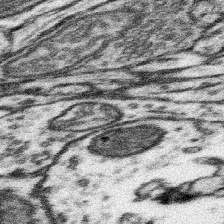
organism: Mouse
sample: Somatosensory cortex neuropil